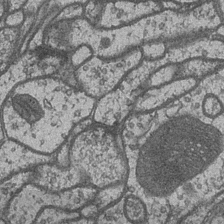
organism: Drosophila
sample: Optic medulla